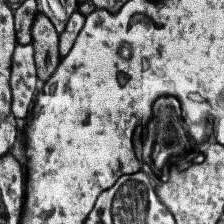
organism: Human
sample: Temporal Lobe